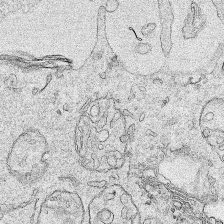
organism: Human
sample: Mitochondria in HCT116 cells